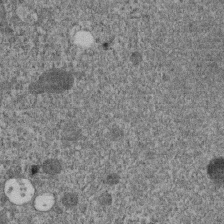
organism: C. elegans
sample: C. elegans embryo early stage